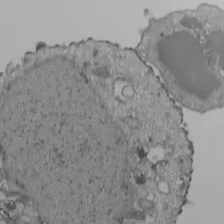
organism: Human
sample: Jurkat E6-1 and CD4 cells